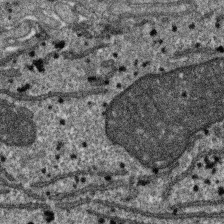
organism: Human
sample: Lung epithelial cells infected with SARS-CoV-2